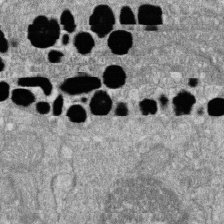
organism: Zebrafish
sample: Cilia; retinal pigment epithelium